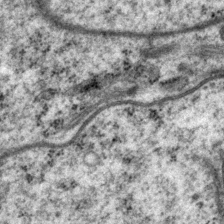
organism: P. pacificus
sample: Pharynx